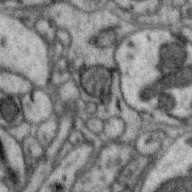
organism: Zebra finch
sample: Brain